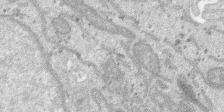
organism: Human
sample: Lung epithelial cells infected with SARS-CoV-2